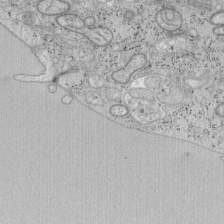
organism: Mouse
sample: OT-I killer T cells with ID8 ovarian cancer cells